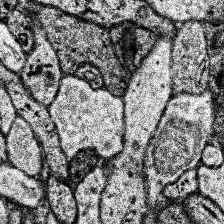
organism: Human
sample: Temporal Lobe